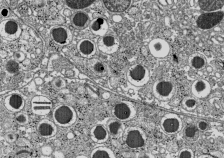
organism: C57BL Mouse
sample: Pancreatic islet